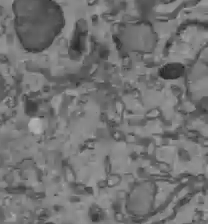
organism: C57BL Mouse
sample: Liver